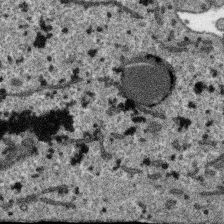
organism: Human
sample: Lung epithelial cells infected with SARS-CoV-2